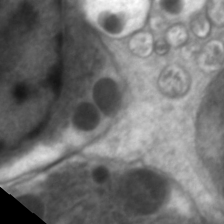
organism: C. elegans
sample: Pharynx